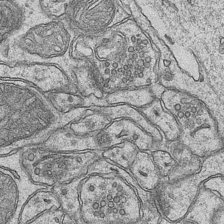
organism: Mouse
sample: CA1 Hippocampus